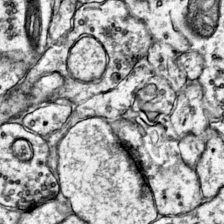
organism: Mouse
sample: Primary visual cortex